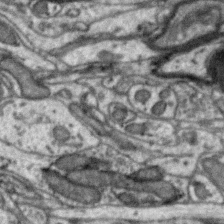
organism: Zebra finch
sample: Brain